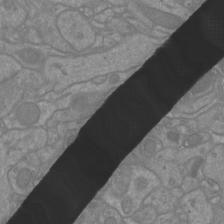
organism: Mouse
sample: Cortical neurons